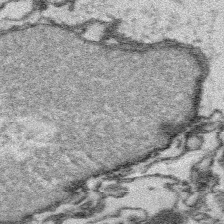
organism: Platynereis dumerilii